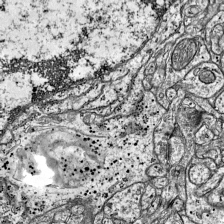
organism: Mouse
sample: Visual Cortex